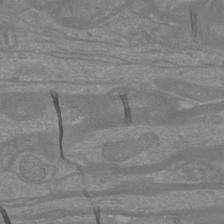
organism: Mouse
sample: Cortical neurons